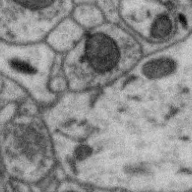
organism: Zebra finch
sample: Brain